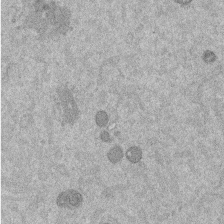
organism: Mouse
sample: Dividing mouse embryo 1 cell stage